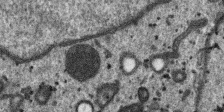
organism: Human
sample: Lung epithelial cells infected with SARS-CoV-2